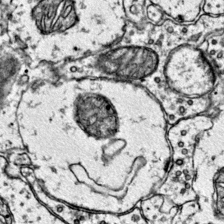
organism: Mouse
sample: Primary visual cortex